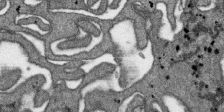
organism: Human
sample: Lung epithelial cells, uninfected (mock) control